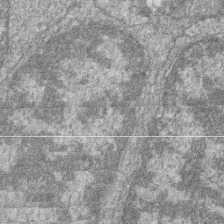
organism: Zebrafish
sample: Cilia; retinal pigment epithelium